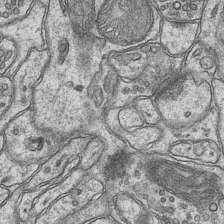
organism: Mouse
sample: CA1 Hippocampus